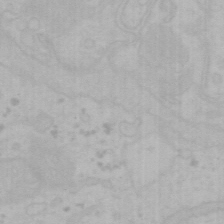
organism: Mouse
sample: Choroid plexus